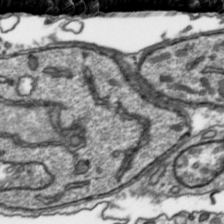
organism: Toxoplasma gondii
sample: Parasites in a vacuole inside a host cell